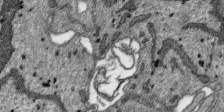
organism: Human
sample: Lung epithelial cells, uninfected (mock) control